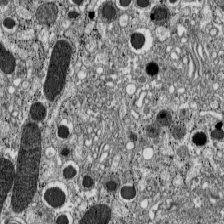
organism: C57BL Mouse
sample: Pancreatic islet